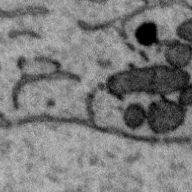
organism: Zebra finch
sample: Brain